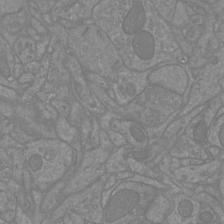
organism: Mouse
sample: Cortical neurons